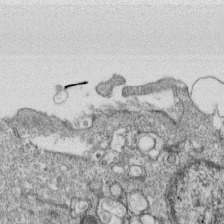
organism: African green monkey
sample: Vero E6 cells infected with SARS-CoV-2